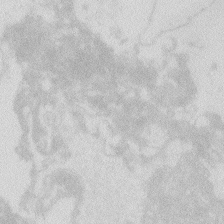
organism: Zebrafish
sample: Macrophage